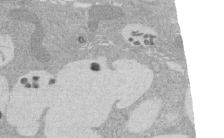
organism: Rat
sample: Salivary granule